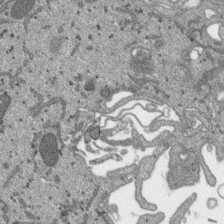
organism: Human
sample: Lung epithelial cells infected with SARS-CoV-2